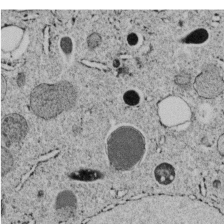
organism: C. elegans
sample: C. elegans embryo early stage